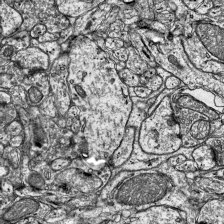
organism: Mouse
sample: Visual Cortex